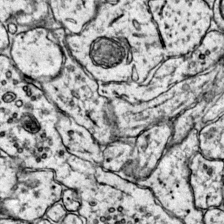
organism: Mouse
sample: Primary visual cortex